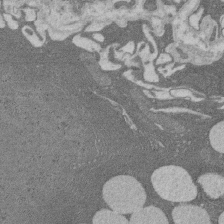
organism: Rat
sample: Salivary granule